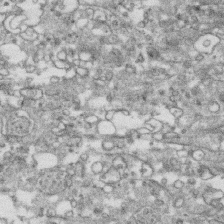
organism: Human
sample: CRL-1474